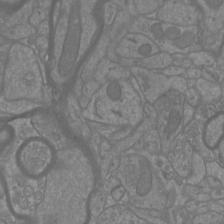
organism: Mouse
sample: Cortical neurons